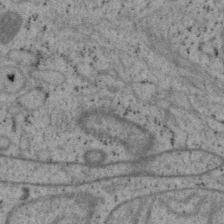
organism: Human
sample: HeLa cells